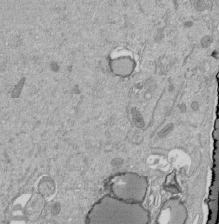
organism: Mouse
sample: ED-1 cell nuclei; centrioles